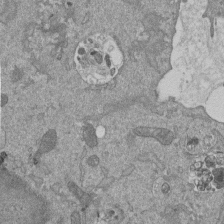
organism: Mouse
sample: ED-1 cell nuclei; centrioles